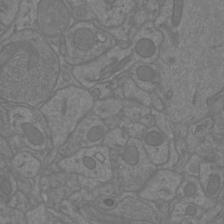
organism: Mouse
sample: Cortical neurons